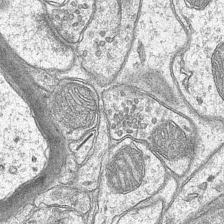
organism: Mouse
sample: CA1 Hippocampus